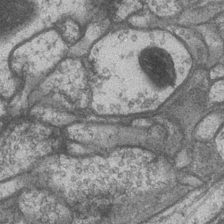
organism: Drosophila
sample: Optic medulla